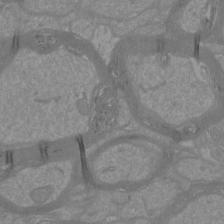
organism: Mouse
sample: Cortical neurons